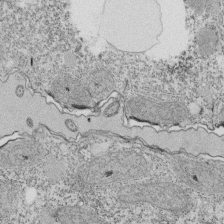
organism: Tetrahymena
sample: Cilia in tetrahymena